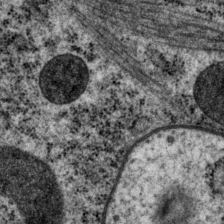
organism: P. pacificus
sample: Pharynx